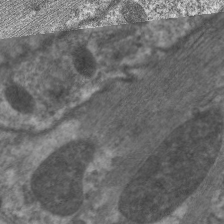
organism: C. elegans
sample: Pharynx